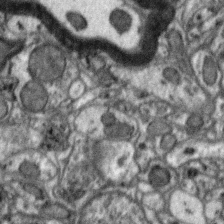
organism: Zebra finch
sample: Brain